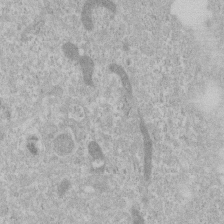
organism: Human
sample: Centriole in RPE cells